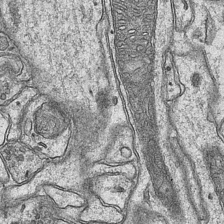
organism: Mouse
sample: CA1 Hippocampus